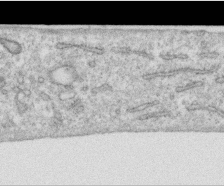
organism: Human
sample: Centriole in RPE cells